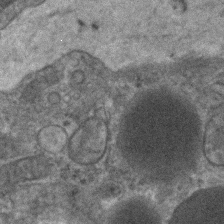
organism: Human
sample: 1205lu cells